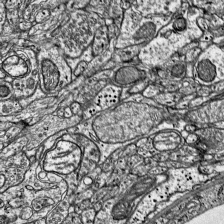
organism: Mouse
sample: Visual Cortex